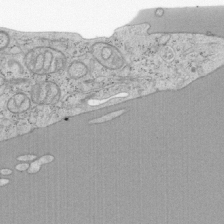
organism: Human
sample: HeLa cells